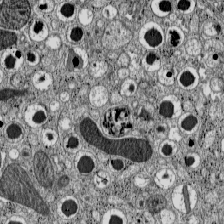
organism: C57BL Mouse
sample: Pancreatic islet